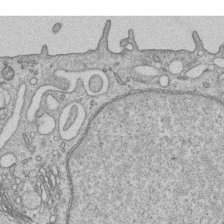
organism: Human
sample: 1205lu cells